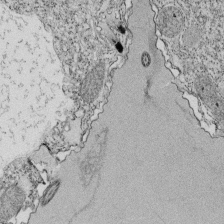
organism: Tetrahymena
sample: Cilia in tetrahymena